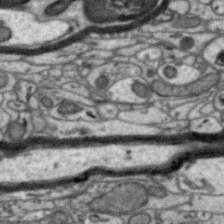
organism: Zebra finch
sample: Brain